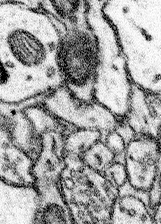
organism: Mouse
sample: Somatosensory cortex neuropil